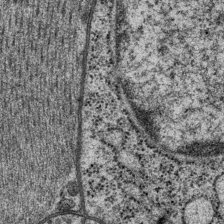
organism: P. pacificus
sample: Pharynx